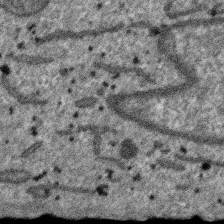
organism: Human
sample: Lung epithelial cells infected with SARS-CoV-2